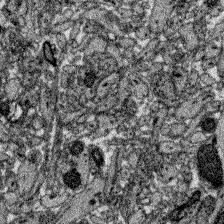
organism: Zebrafish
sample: Larval olfactory bulb